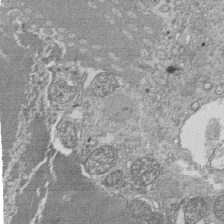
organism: Tetrahymena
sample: Cilia in tetrahymena